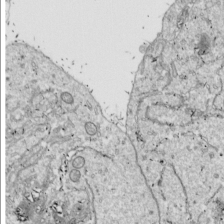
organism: Drosophila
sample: Cell division; meiosis; drosophila spermatocytes